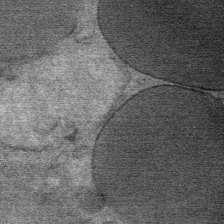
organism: Mouse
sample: Mouse Salivary gland